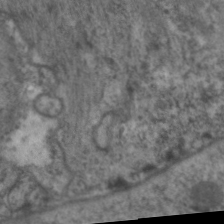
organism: C. elegans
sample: Pharynx